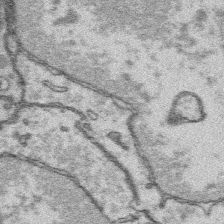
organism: Platynereis dumerilii